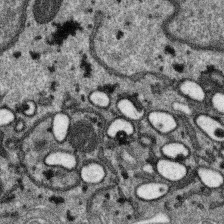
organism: Human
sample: Lung epithelial cells infected with SARS-CoV-2